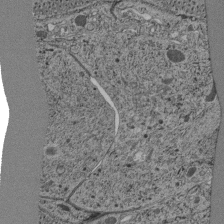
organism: C. elegans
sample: C. elegans pharynx